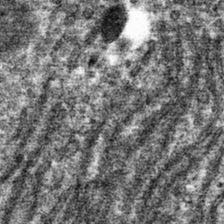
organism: Mouse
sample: Mouse hepatocytes